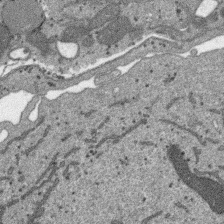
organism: Human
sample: Lung epithelial cells infected with SARS-CoV-2